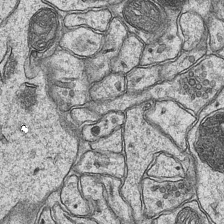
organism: Mouse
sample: CA1 Hippocampus